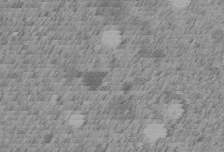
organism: C. elegans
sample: C. elegans embryo early stage